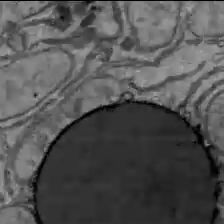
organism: C57BL Mouse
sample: Liver